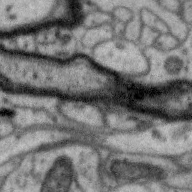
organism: Zebra finch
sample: Brain